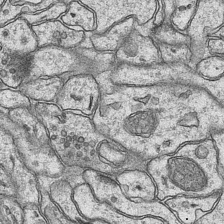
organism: Mouse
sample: CA1 Hippocampus